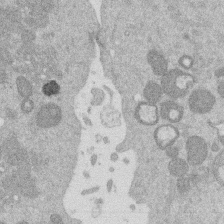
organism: Mouse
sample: Dividing mouse embryo 1 cell stage